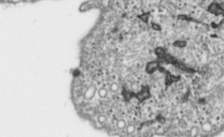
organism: Toxoplasma gondii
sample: Parasites in a vacuole inside a host cell